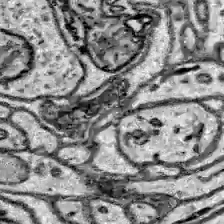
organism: Zebrafish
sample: Brain